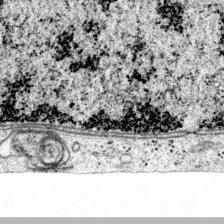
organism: Human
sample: HeLa cells